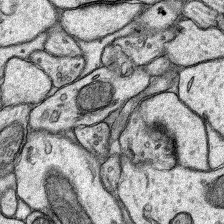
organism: Rat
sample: Hippocampus